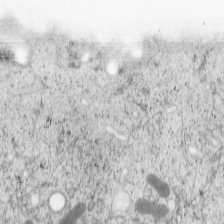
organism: African green monkey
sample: COS-7 cells